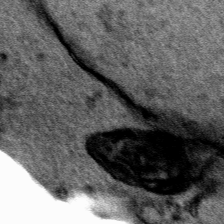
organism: Human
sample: Mitochondria in HCT116 cells